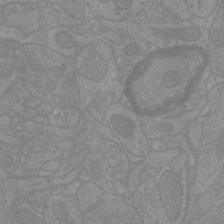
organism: Mouse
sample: Cortical neurons